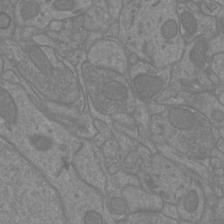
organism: Mouse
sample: Cortical neurons